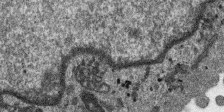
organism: Human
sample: Lung epithelial cells infected with SARS-CoV-2